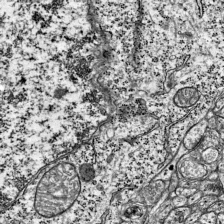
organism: Mouse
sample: Visual Cortex